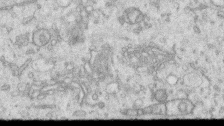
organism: Human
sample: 1205lu cells